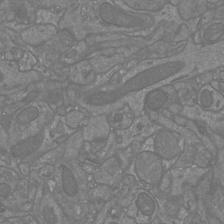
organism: Mouse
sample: Cortical neurons